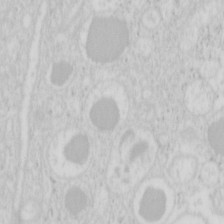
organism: Mouse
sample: Pancreas